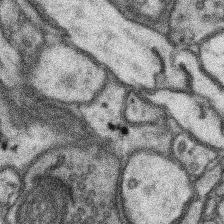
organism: Mouse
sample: Somatosensory cortex neuropil